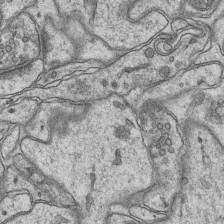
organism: Mouse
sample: CA1 Hippocampus